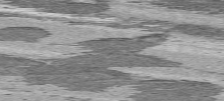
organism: C57BL Mouse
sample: Heart